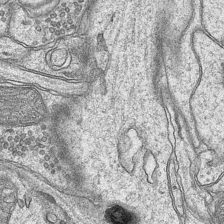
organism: Mouse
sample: CA1 Hippocampus